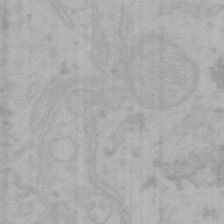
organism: Mouse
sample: Choroid plexus